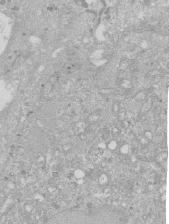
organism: Human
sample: Caco-2 cells